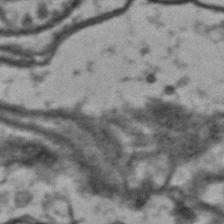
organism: Drosophila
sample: Brain